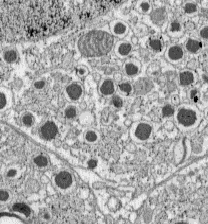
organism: C57BL Mouse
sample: Pancreatic islet